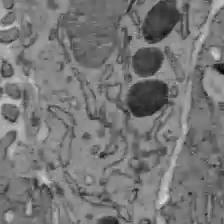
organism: C57BL Mouse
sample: Liver